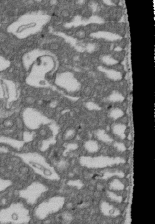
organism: Drosophila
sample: Nephrocyte